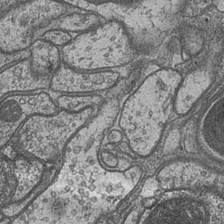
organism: Drosophila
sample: Optic medulla